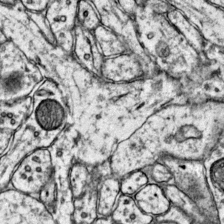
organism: Mouse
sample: Primary visual cortex